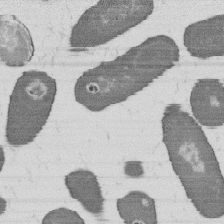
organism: B. subtilis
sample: Bacterial spore